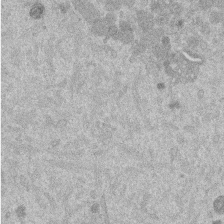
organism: Mouse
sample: Dividing mouse embryo 1 cell stage